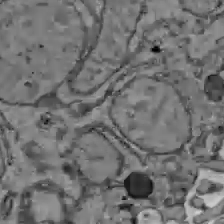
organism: C57BL Mouse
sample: Liver